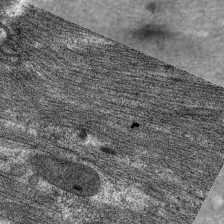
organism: C. elegans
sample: Pharynx